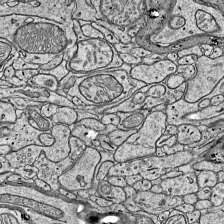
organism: Mouse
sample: Visual Cortex